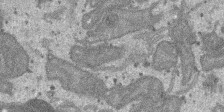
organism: Human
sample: Lung epithelial cells infected with SARS-CoV-2